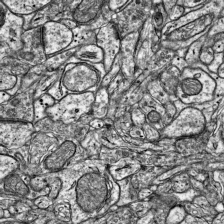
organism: Mouse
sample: Visual Cortex